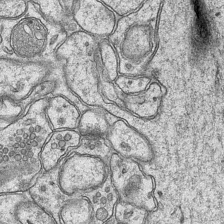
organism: Mouse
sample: CA1 Hippocampus